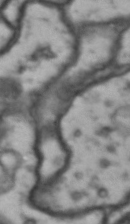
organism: Drosophila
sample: Brain